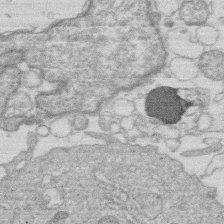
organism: Human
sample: Macrophage cells